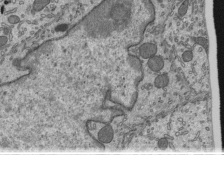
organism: Mouse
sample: Mouse epididymis efferent ductule cilia